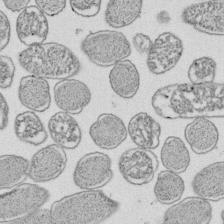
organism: E. coli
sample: Bacterial nucleoid